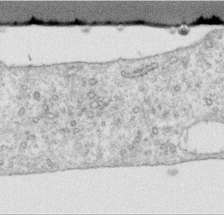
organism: Human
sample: Centriole in RPE cells